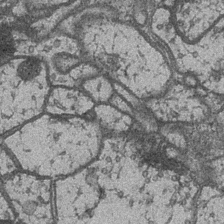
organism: Drosophila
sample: Optic medulla